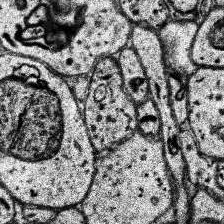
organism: Human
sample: Temporal Lobe